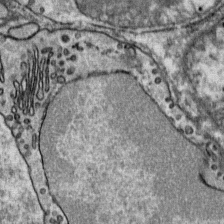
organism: Mouse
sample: Mouse Salivary gland